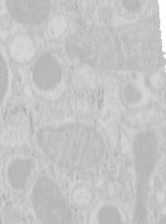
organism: Mouse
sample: Pancreas